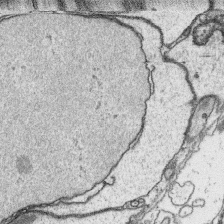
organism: Platynereis dumerilii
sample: Parapodia